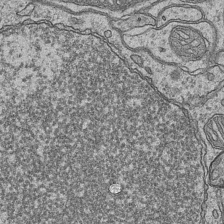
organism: Mouse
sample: CA1 Hippocampus